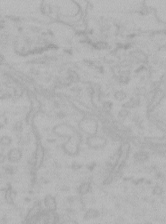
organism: Mouse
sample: Choroid plexus